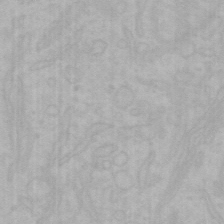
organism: Mouse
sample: Choroid plexus